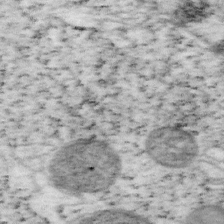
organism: Mouse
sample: OT-I killer T cells with ID8 ovarian cancer cells